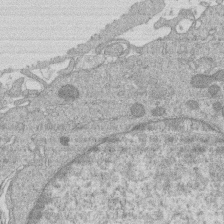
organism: Human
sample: Macrophage cells